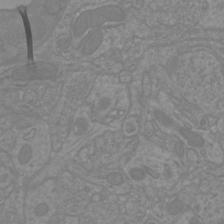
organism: Mouse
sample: Cortical neurons